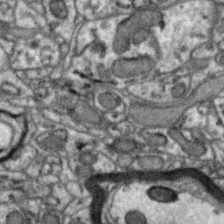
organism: Zebra finch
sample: Brain